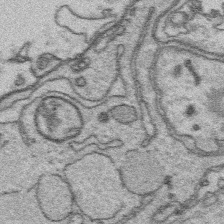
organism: Platynereis dumerilii